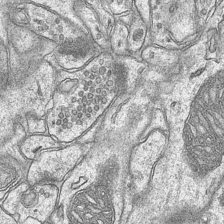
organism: Mouse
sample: CA1 Hippocampus